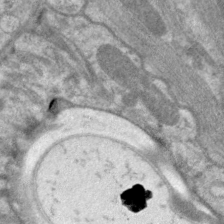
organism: C. elegans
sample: Pharynx